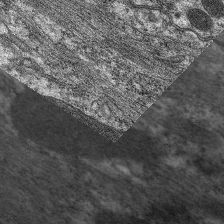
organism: C. elegans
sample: Pharynx